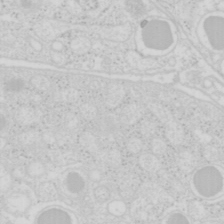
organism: Mouse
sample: Pancreas